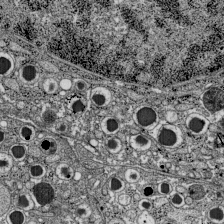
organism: C57BL Mouse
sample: Pancreatic islet